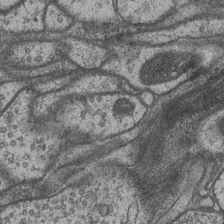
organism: Drosophila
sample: Optic medulla